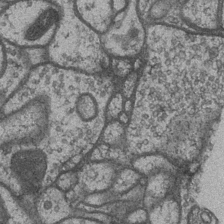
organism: Drosophila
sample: Optic medulla